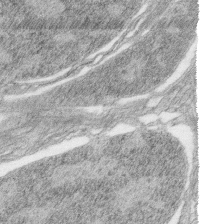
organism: Zebrafish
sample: synaptic ribbons in rod cells and cone cells